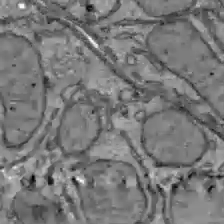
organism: C57BL Mouse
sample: Liver